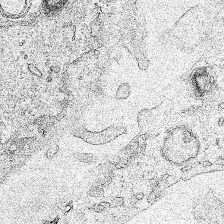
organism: Human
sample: Mitochondria in HCT116 cells